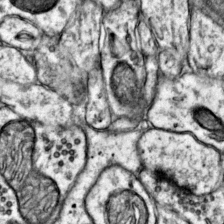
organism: Mouse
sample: Primary visual cortex